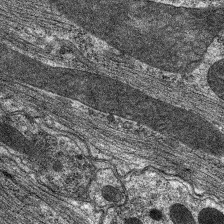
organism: C. elegans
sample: Pharynx